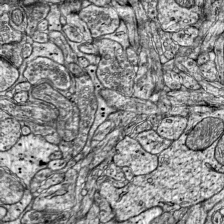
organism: Mouse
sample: Visual Cortex